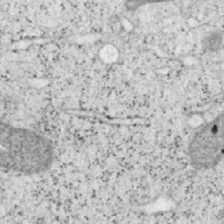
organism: Mouse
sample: OT-I killer T cells with ID8 ovarian cancer cells